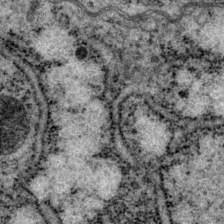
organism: P. pacificus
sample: Pharynx